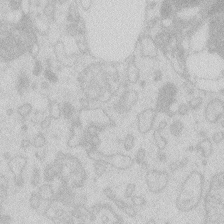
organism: Zebrafish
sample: Macrophage